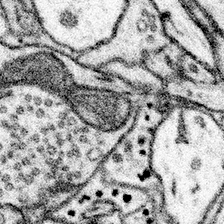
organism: Mouse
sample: Somatosensory cortex neuropil